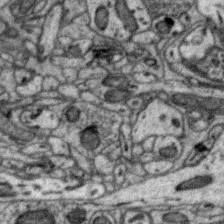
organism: Zebra finch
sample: Brain